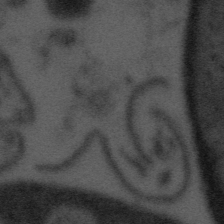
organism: Tuwongella immobilis